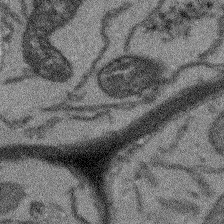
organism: Arabidopsis thaliana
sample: Root tip